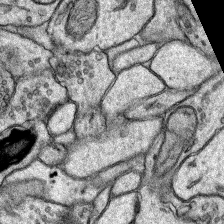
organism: Rat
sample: Hippocampus